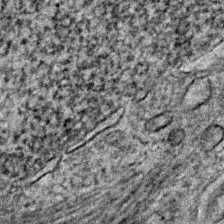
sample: Trachea